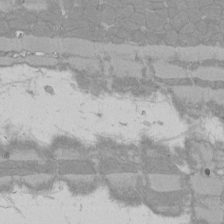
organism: Rat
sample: Left ventricle